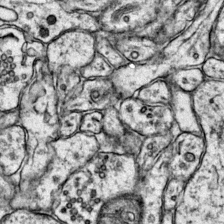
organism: Mouse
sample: Primary visual cortex